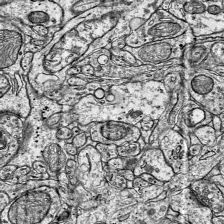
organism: Mouse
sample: Visual Cortex